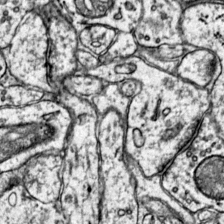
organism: Mouse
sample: Primary visual cortex